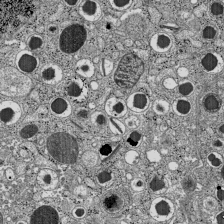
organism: C57BL Mouse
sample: Pancreatic islet